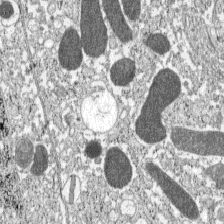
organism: C57BL Mouse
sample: Pancreatic islet